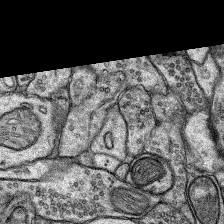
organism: Rat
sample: Hippocampus